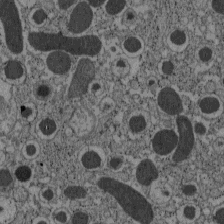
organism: C57BL Mouse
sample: Pancreatic islet